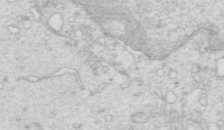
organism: Mouse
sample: Multiciliated cells